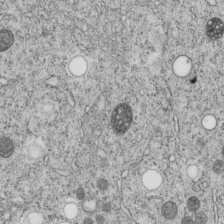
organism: C. elegans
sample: C. elegans embryo early stage